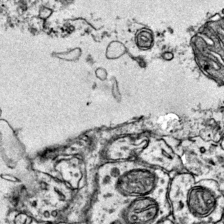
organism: Mouse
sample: Primary visual cortex